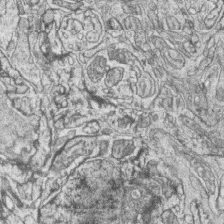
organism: Zebrafish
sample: synaptic ribbons in rod cells and cone cells